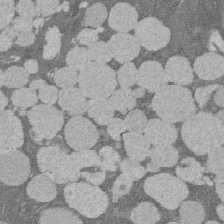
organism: Rat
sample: Salivary granule